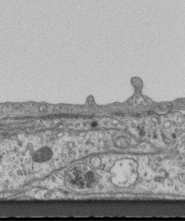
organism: Mouse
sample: Centriole in ependymal cells